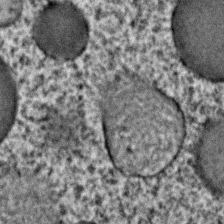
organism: C. elegans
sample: C. elegans embryo